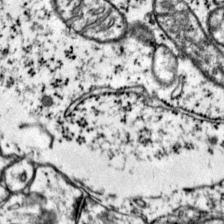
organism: Mouse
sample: Primary visual cortex